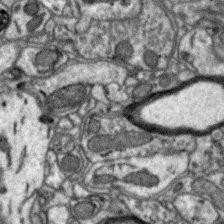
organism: Zebra finch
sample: Brain